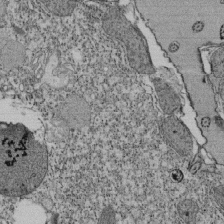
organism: Tetrahymena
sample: Cilia in tetrahymena